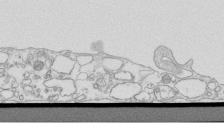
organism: Mouse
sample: Macrophages